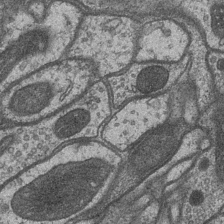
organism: Drosophila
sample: Optic medulla